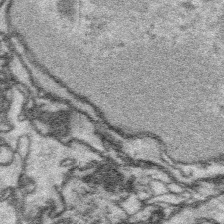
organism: Platynereis dumerilii